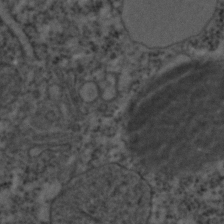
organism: C. elegans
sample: C. elegans embryo